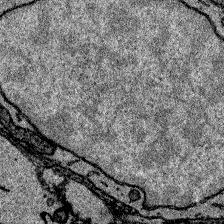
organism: Zebrafish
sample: Larval olfactory bulb